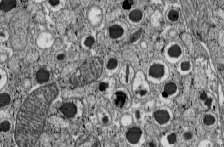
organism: C57BL Mouse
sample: Pancreatic islet